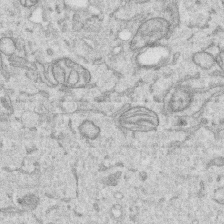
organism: Human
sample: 1205lu cells